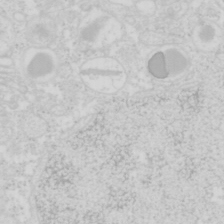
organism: Mouse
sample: Pancreas